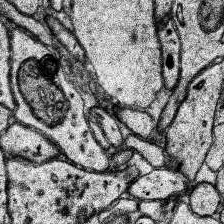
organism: Human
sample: Temporal Lobe